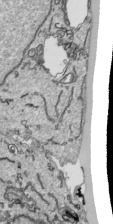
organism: Human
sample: Mitochondria in HCT116 cells